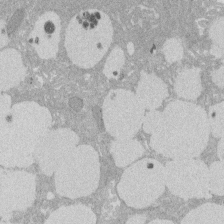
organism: Rat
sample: Salivary granule